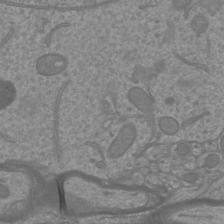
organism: Mouse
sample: Cortical neurons